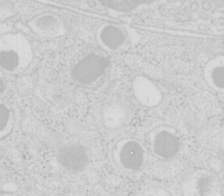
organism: Mouse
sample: Pancreas